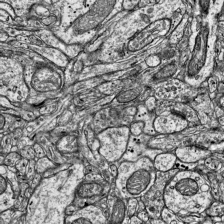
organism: Mouse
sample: Visual Cortex